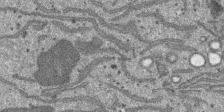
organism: Human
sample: Lung epithelial cells infected with SARS-CoV-2